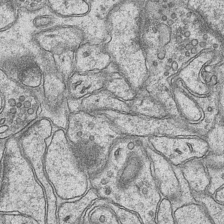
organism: Mouse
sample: CA1 Hippocampus